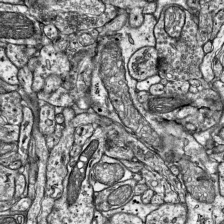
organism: Mouse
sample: Visual Cortex